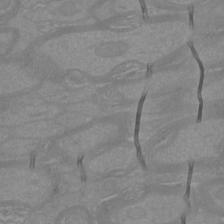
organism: Mouse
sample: Cortical neurons